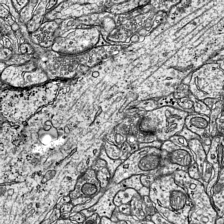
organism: Mouse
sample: Visual Cortex